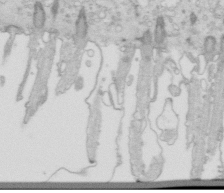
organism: Mouse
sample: Multiciliated cells